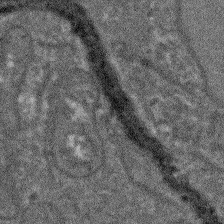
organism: Arabidopsis thaliana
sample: Root tip